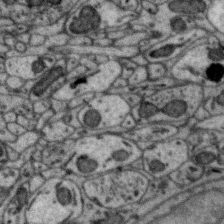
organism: Zebra finch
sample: Brain